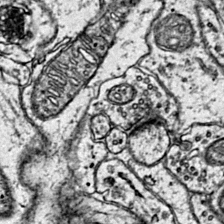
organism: Mouse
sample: Primary visual cortex